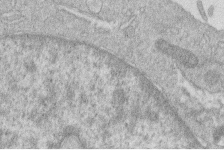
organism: Human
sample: Macrophage cells